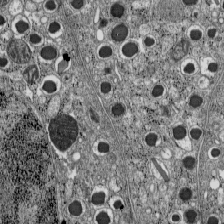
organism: C57BL Mouse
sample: Pancreatic islet